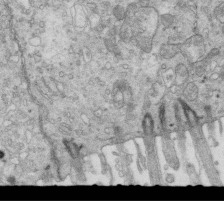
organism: Mouse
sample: Multiciliated cells